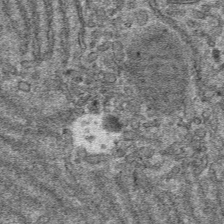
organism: Mouse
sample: Mouse hepatocytes